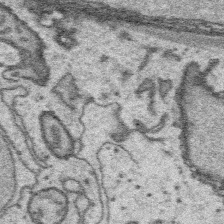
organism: Platynereis dumerilii